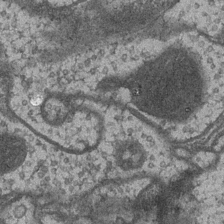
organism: Drosophila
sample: Optic medulla